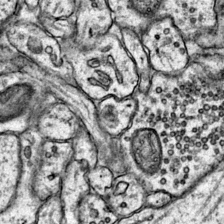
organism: Mouse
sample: Primary visual cortex